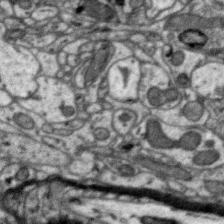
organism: Zebra finch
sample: Brain